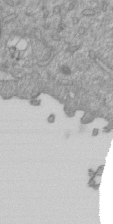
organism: Mouse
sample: ED-1 cell nuclei; centrioles